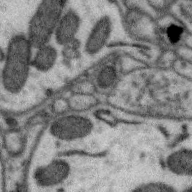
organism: Zebra finch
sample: Brain